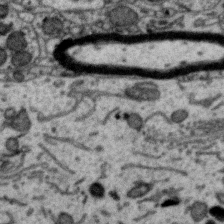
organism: Zebra finch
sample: Brain